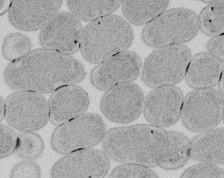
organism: E. coli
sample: Bacterial nucleoid